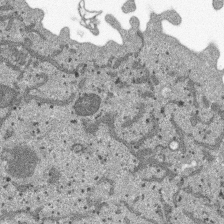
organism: Human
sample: Lung epithelial cells infected with SARS-CoV-2